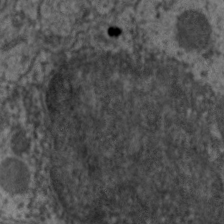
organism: C. elegans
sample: Pharynx